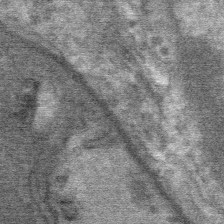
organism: Mouse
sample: Mouse Salivary gland